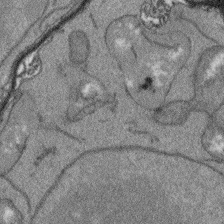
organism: Arabidopsis thaliana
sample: Root tip